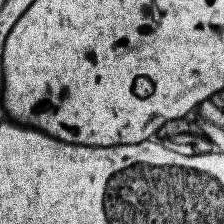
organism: Human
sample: Temporal Lobe